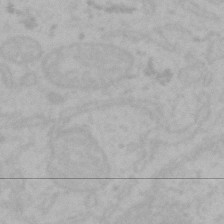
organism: Mouse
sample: Choroid plexus